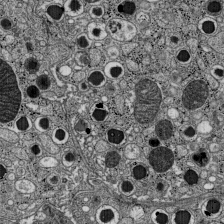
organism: C57BL Mouse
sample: Pancreatic islet